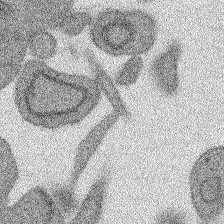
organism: Human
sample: HeLa cells